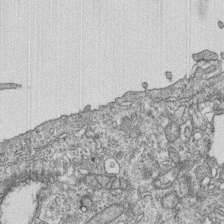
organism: Human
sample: HeLa cell HIV synapse